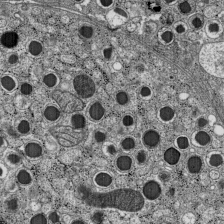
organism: C57BL Mouse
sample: Pancreatic islet